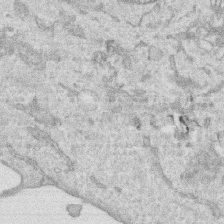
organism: Human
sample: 1205lu cells